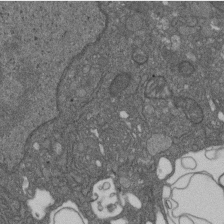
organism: Drosophila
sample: Nephrocyte